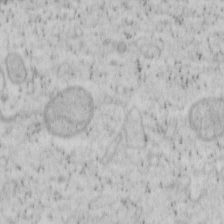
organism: Human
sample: HeLa cells